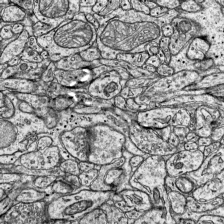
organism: Mouse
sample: Visual Cortex